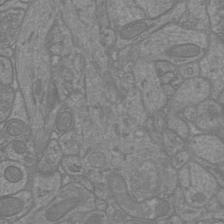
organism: Mouse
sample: Cortical neurons